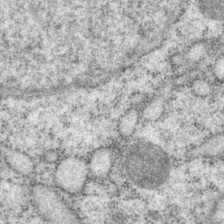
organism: P. pacificus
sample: Pharynx